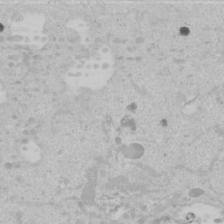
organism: Human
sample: Mitochondria in U2OS cells